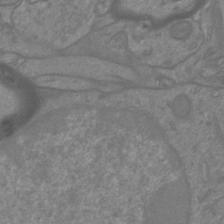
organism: Mouse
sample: Cortical neurons